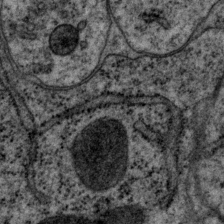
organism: P. pacificus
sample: Pharynx